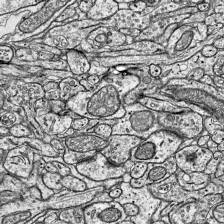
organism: Mouse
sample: Visual Cortex